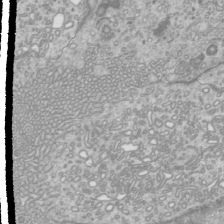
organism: Mouse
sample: Cilia; mouse epididymis